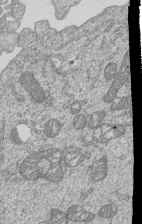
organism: Human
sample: MDA-MB-231 cells